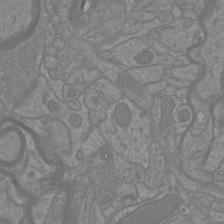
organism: Mouse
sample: Cortical neurons